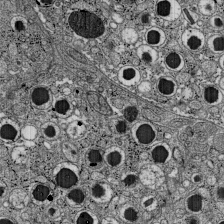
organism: C57BL Mouse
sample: Pancreatic islet